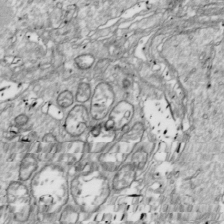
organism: Drosophila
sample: Cell division; meiosis; drosophila spermatocytes